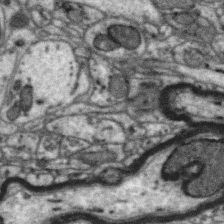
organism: Zebra finch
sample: Brain